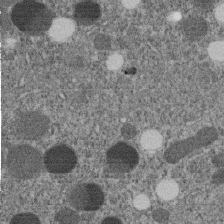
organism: C. elegans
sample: C. elegans embryo early stage